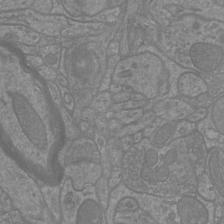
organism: Mouse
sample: Cortical neurons